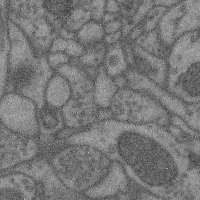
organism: Mouse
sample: Cerebral cortex